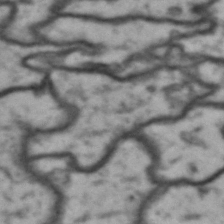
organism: Drosophila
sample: Brain